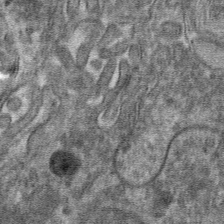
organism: Mouse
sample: Mouse hepatocytes